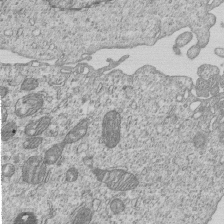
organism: Human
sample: MDA-MB-231 cells